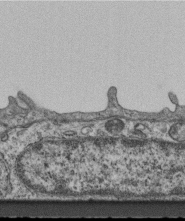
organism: Mouse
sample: Centriole in ependymal cells